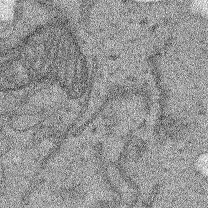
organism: Human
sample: HeLa cells